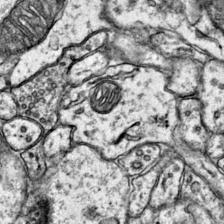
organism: Mouse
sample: Primary visual cortex